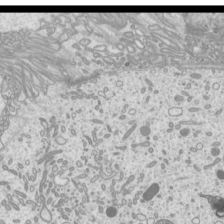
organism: Mouse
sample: Cilia; mouse epididymis